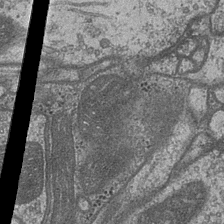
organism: Drosophila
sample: Optic medulla